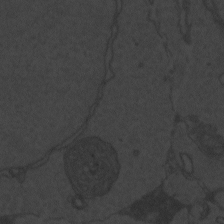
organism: Zebrafish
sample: Macrophage infected with Toxoplasma gondii